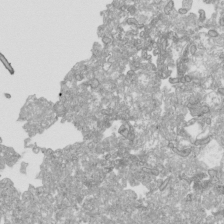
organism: Human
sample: Mitochondria in HCT116 cells